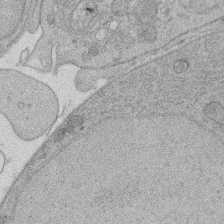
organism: Rat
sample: Salivary granule